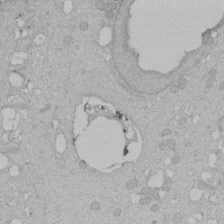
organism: Human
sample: Melanocyte Keratinocyte synapse skin construct